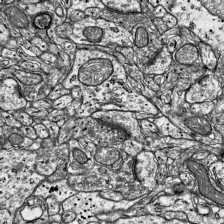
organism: Mouse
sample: Visual Cortex